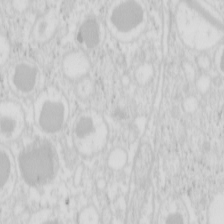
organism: Mouse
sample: Pancreas